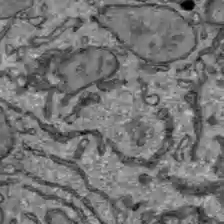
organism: C57BL Mouse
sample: Liver